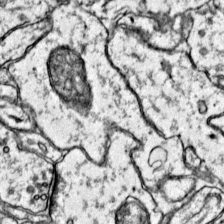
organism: Mouse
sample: Primary visual cortex